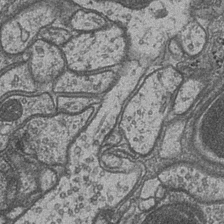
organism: Drosophila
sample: Optic medulla